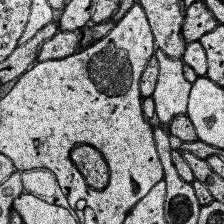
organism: Human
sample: Temporal Lobe